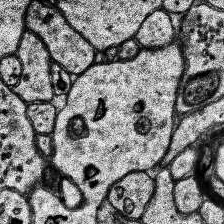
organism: Human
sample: Temporal Lobe